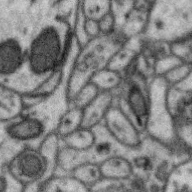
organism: Zebra finch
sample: Brain